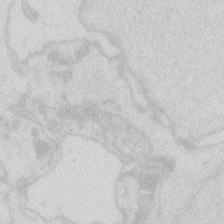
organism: Zebrafish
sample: Macrophage